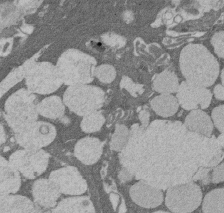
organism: Rat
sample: Salivary granule